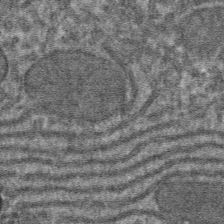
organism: Mouse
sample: Mouse hepatocytes